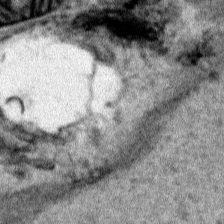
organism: Human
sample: Mitochondria in HCT116 cells